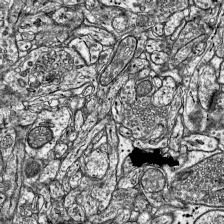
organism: Mouse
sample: Visual Cortex